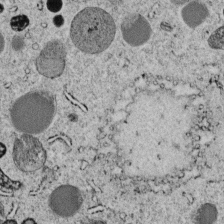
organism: C. elegans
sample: C. elegans embryo early stage